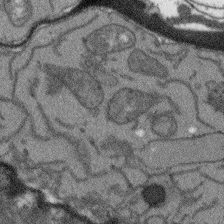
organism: Arabidopsis thaliana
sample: Root tip